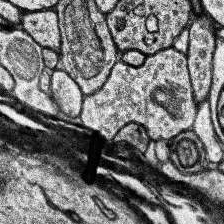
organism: Human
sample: Temporal Lobe